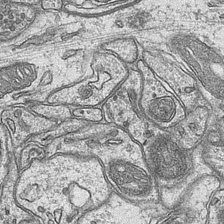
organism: Mouse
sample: CA1 Hippocampus